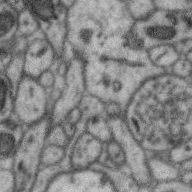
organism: Zebra finch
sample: Brain